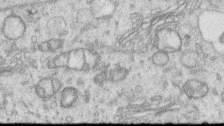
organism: Human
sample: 1205lu cells